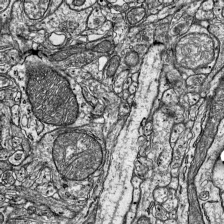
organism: Mouse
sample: Visual Cortex